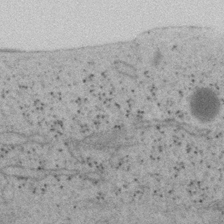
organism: Human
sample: HeLa cells